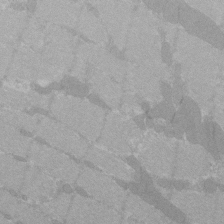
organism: C57BL Mouse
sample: Tibialis anterior muscle cell